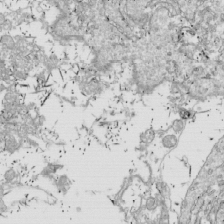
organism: Drosophila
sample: Cell division; meiosis; drosophila spermatocytes